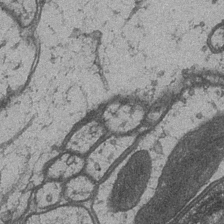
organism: Drosophila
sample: Optic medulla